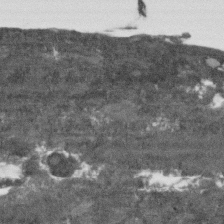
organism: Human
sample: Fibroblast cells